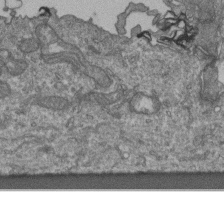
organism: Human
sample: Retinal organoid Rod and Cone cells